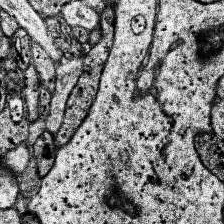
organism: Human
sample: Temporal Lobe